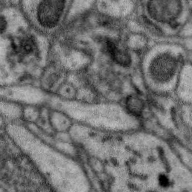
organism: Zebra finch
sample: Brain